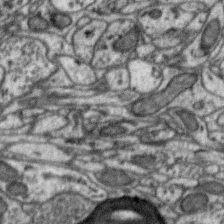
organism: Zebra finch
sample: Brain